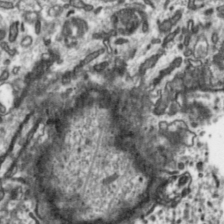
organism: Toxoplasma gondii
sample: Parasites in a vacuole inside a host cell